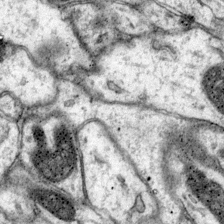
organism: Mouse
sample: Primary visual cortex